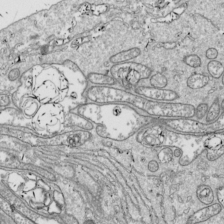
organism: Drosophila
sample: Cell division; meiosis; drosophila spermatocytes